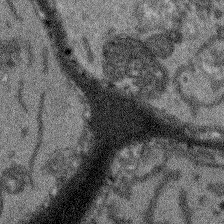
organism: Arabidopsis thaliana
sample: Root tip